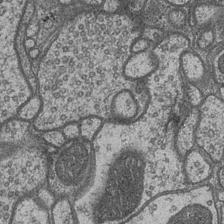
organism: Drosophila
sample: Optic medulla